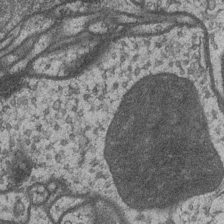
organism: Drosophila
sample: Optic medulla